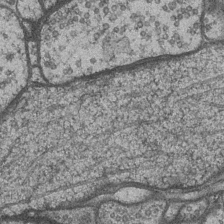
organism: Drosophila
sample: Optic medulla